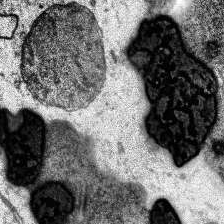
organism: Human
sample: Temporal Lobe